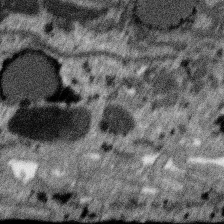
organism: Human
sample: Lung epithelial cells infected with SARS-CoV-2